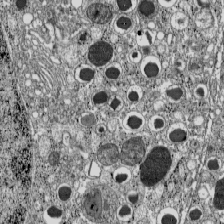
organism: C57BL Mouse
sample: Pancreatic islet